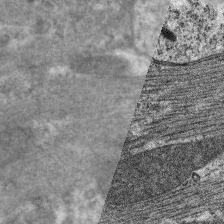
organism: C. elegans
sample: Pharynx